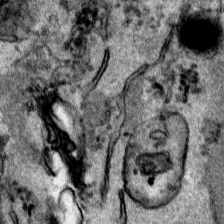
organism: Human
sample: Mitochondria in HCT116 cells